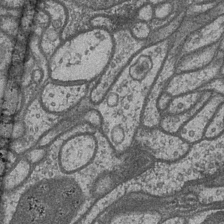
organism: Drosophila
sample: Optic medulla